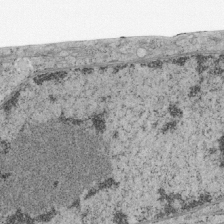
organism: Human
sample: HeLa cells